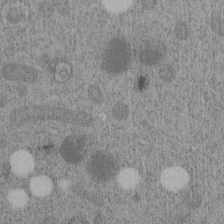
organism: C. elegans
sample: C. elegans embryo early stage